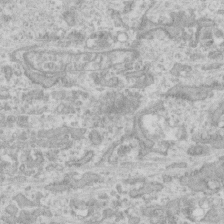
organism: Human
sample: CRL-1474